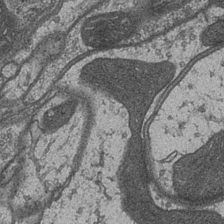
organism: Drosophila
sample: Optic medulla